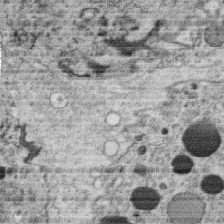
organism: C. elegans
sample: C. elegans oocyte; sperm cells